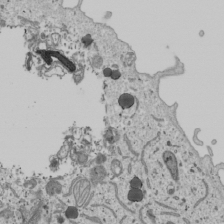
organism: Human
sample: Mitochondria in U2OS cells